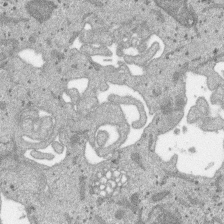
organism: Human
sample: Lung epithelial cells infected with SARS-CoV-2